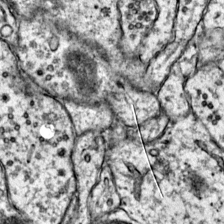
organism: Mouse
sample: Primary visual cortex